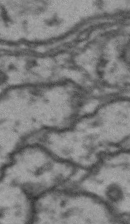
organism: Drosophila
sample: Brain